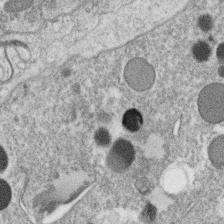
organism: C. elegans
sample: C. elegans oocyte; sperm cells